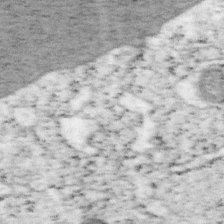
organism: Mouse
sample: OT-I killer T cells with ID8 ovarian cancer cells